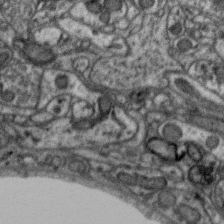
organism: Zebra finch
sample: Brain